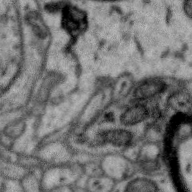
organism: Zebra finch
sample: Brain